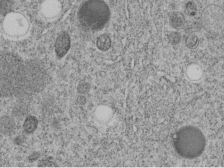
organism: C. elegans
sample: C. elegans embryo early stage